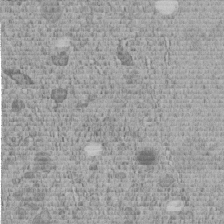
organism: C. elegans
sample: C. elegans embryo early stage